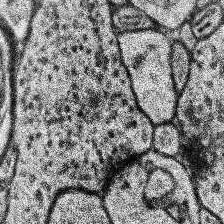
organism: Human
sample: Temporal Lobe